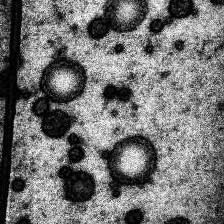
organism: Human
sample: Temporal Lobe